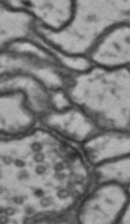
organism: Drosophila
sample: Brain